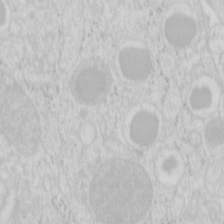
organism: Mouse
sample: Pancreas